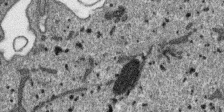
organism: Human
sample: Lung epithelial cells infected with SARS-CoV-2